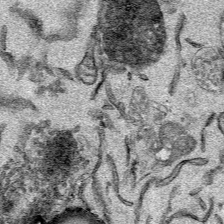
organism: Mouse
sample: Cancer cell death in ED-1 cells